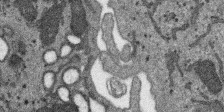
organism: Human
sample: Lung epithelial cells infected with SARS-CoV-2